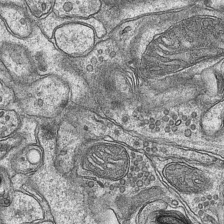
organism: Mouse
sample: CA1 Hippocampus